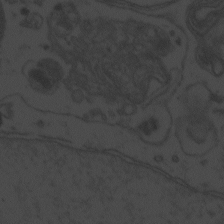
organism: Zebrafish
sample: Macrophage infected with Toxoplasma gondii